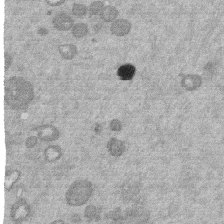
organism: Mouse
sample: Dividing mouse embryo 1 cell stage